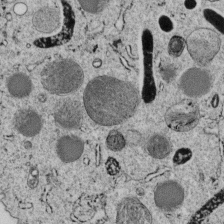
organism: C. elegans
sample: C. elegans embryo early stage